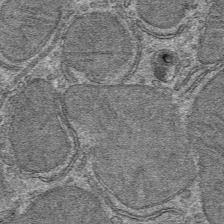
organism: Mouse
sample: Mouse hepatocytes